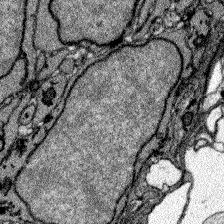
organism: Zebrafish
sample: Larval olfactory bulb